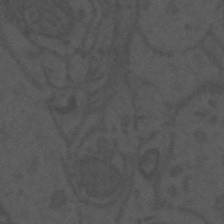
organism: Mouse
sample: Suprachiasmatic nucleus